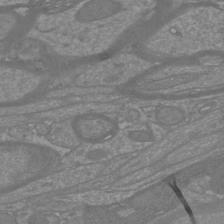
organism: Mouse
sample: Cortical neurons